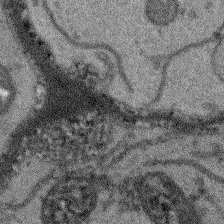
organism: Arabidopsis thaliana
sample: Root tip